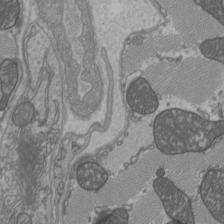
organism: C57BL Mouse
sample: Heart